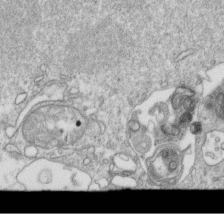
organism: Mouse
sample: Activated OT-1 CD8+ T cells